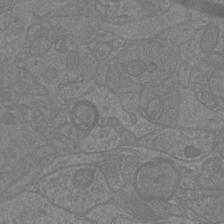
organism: Mouse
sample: Cortical neurons